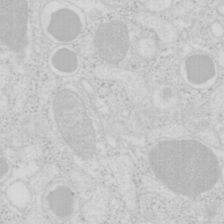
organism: Mouse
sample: Pancreas